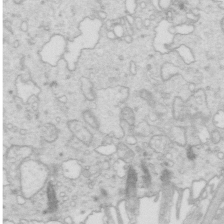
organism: Mouse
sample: Multiciliated cells